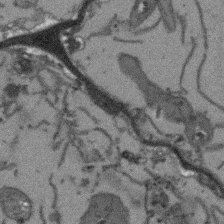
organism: Arabidopsis thaliana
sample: Root tip